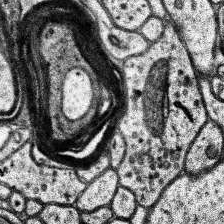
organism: Human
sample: Temporal Lobe